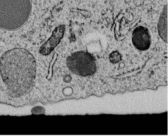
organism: C. elegans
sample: C. elegans embryo early stage